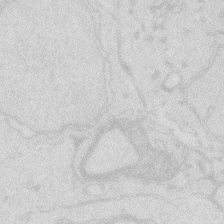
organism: Zebrafish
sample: Macrophage